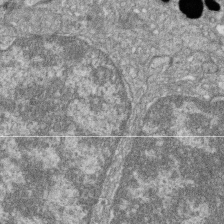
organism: Zebrafish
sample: Cilia; retinal pigment epithelium